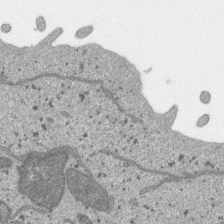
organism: Human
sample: Lung epithelial cells infected with SARS-CoV-2